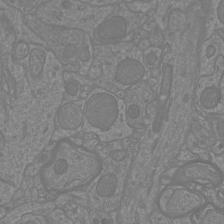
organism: Mouse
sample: Cortical neurons